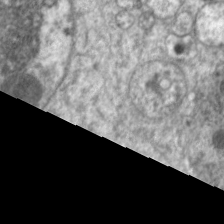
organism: C. elegans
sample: Pharynx